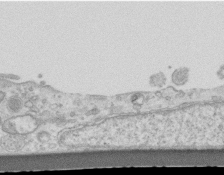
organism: Mouse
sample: Centriole in ependymal cells